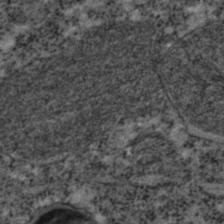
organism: C. elegans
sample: C. elegans embryo